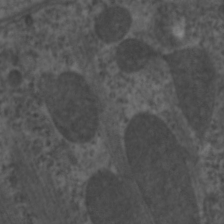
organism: C. elegans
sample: Pharynx